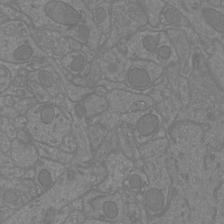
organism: Mouse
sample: Cortical neurons